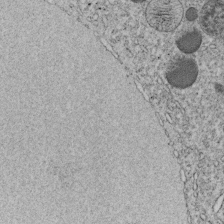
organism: C. elegans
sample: C. elegans embryo early stage